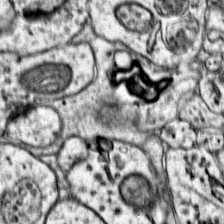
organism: Mouse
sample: Primary visual cortex